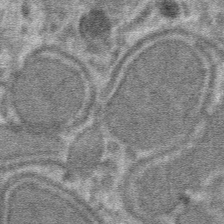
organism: Mouse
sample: Mouse hepatocytes